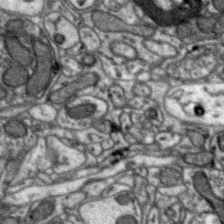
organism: Zebra finch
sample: Brain